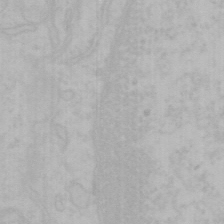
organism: Mouse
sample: Choroid plexus